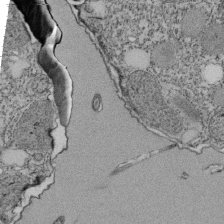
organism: Tetrahymena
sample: Cilia in tetrahymena